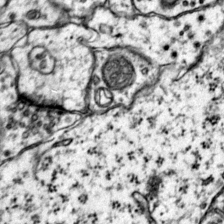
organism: Mouse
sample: Primary visual cortex